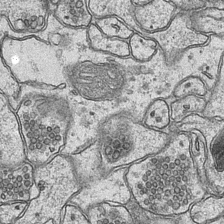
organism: Mouse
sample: CA1 Hippocampus